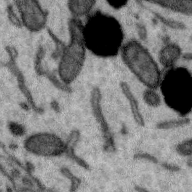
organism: Zebra finch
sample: Brain